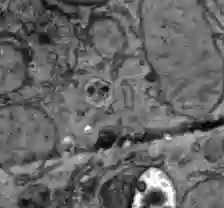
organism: C57BL Mouse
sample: Liver